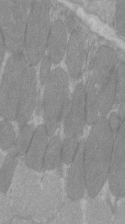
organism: C57BL Mouse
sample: Tibialis anterior muscle cell